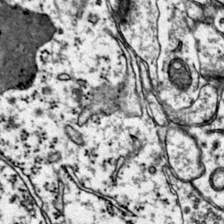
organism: Mouse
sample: Primary visual cortex